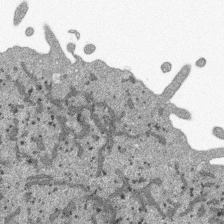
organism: Human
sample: Lung epithelial cells infected with SARS-CoV-2